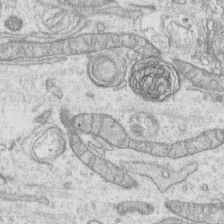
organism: Human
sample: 1205lu cells